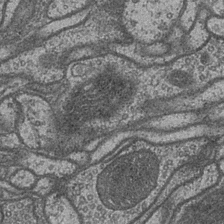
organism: Drosophila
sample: Optic medulla